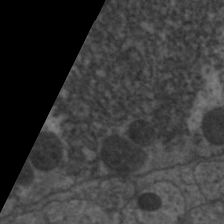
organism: C. elegans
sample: Pharynx